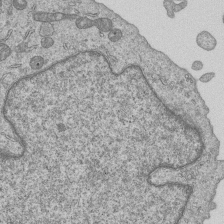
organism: Human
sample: MDA-MB-231 cells